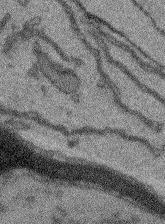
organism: Arabidopsis thaliana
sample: Root tip